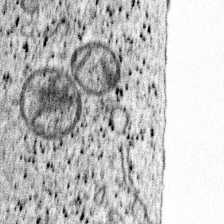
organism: Human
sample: HeLa cells